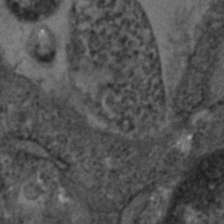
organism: Human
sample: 1205lu cells